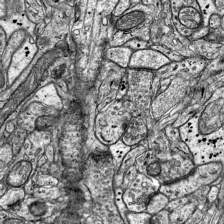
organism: Mouse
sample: Visual Cortex